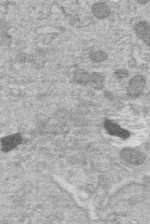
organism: Human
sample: Macrophage cells